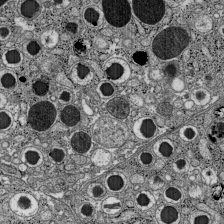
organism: C57BL Mouse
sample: Pancreatic islet